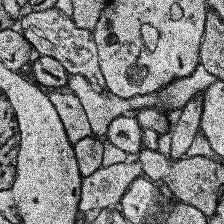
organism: Human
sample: Temporal Lobe